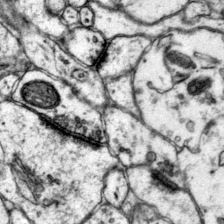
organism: Mouse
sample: Primary visual cortex